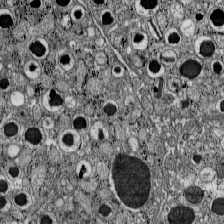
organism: C57BL Mouse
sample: Pancreatic islet